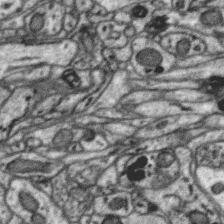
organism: Zebra finch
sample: Brain